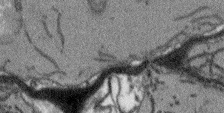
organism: Arabidopsis thaliana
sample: Root tip